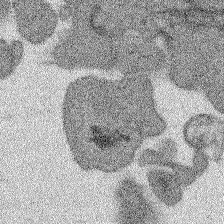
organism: Human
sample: HeLa cells